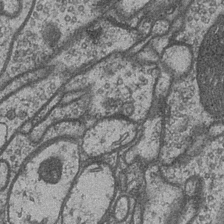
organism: Drosophila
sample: Optic medulla